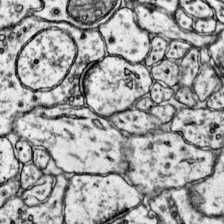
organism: Mouse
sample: Primary visual cortex